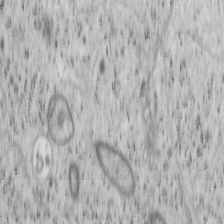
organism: Human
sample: HeLa cells